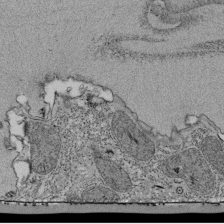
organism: Tetrahymena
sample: Cilia in tetrahymena